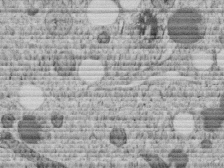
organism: C. elegans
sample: C. elegans embryo early stage